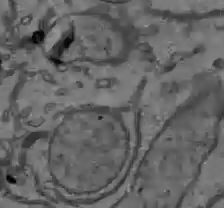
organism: C57BL Mouse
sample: Liver